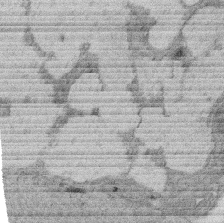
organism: Rat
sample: Salivary granule